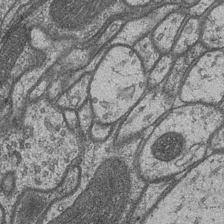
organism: Drosophila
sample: Optic medulla